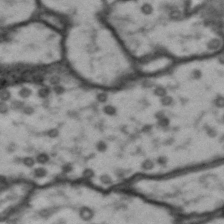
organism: Drosophila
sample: Brain